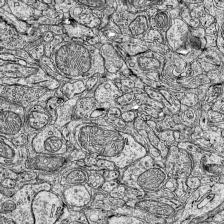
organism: Mouse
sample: Visual Cortex